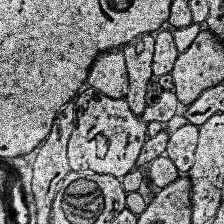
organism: Human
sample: Temporal Lobe